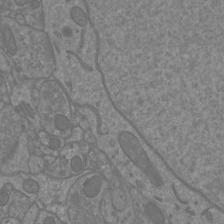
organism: Mouse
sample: Cortical neurons